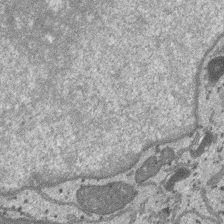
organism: Human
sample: Lung epithelial cells infected with SARS-CoV-2